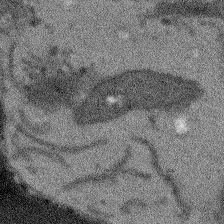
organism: Arabidopsis thaliana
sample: Root tip